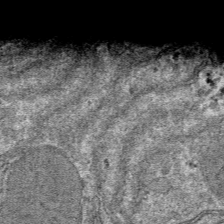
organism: Mouse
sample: Mouse hepatocytes